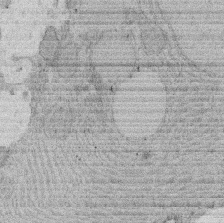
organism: Rat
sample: Salivary granule